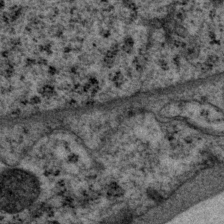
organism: P. pacificus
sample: Pharynx